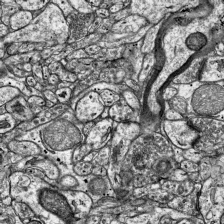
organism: Mouse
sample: Visual Cortex